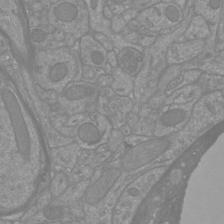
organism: Mouse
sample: Cortical neurons